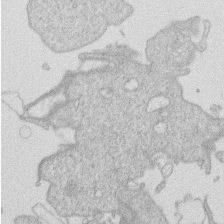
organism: Human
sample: Macrophage cells